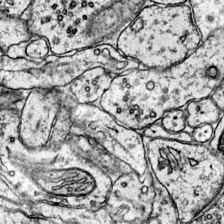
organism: Mouse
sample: Primary visual cortex